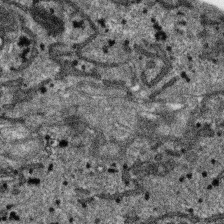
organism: Human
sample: Lung epithelial cells infected with SARS-CoV-2